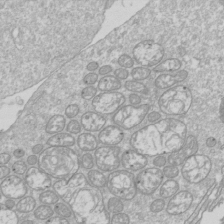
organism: Drosophila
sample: Cell division; meiosis; drosophila spermatocytes